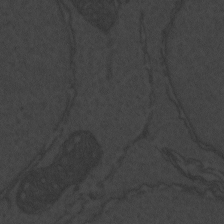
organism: Zebrafish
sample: Macrophage infected with Toxoplasma gondii